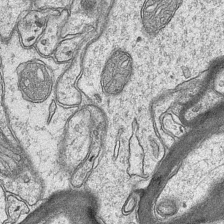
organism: Mouse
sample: CA1 Hippocampus